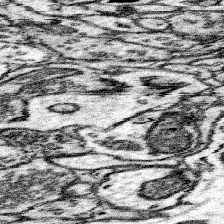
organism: Mouse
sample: Somatosensory cortex neuropil